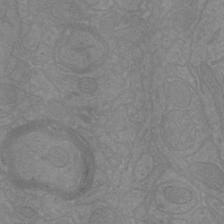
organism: Mouse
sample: Cortical neurons